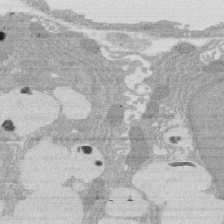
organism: Rat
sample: Salivary granule